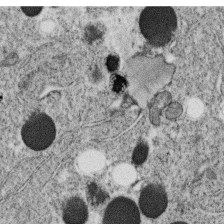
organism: C. elegans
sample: C. elegans oocyte; sperm cells